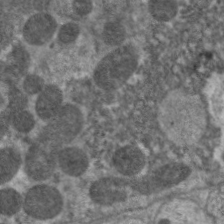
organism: C. elegans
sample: Pharynx